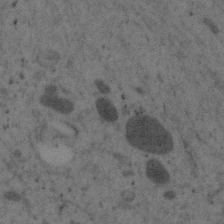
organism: Human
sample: HeLa cells